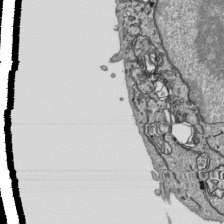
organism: Human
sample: Mitochondria in HCT116 cells